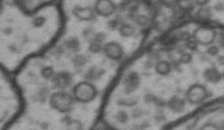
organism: Drosophila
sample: Brain